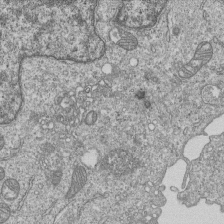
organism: Human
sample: MDA-MB-231 cells